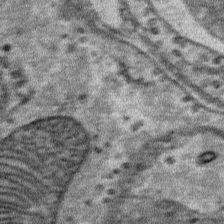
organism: Mouse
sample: Mouse Salivary gland